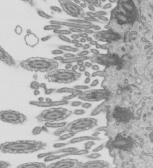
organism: Mouse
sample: Mouse epididymis efferent ductule cilia